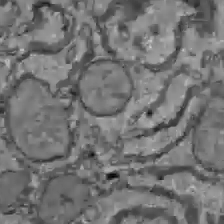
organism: C57BL Mouse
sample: Liver